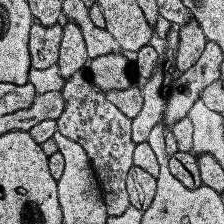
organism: Human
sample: Temporal Lobe